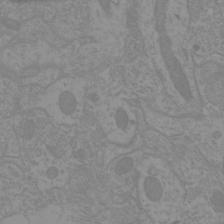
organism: Mouse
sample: Cortical neurons